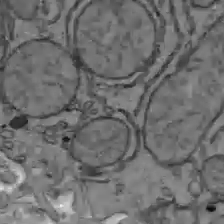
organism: C57BL Mouse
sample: Liver